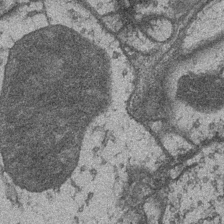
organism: Drosophila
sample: Optic medulla